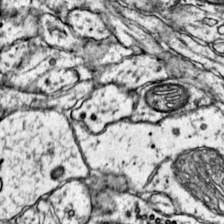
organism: Mouse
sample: Primary visual cortex